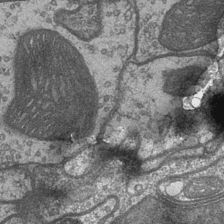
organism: Drosophila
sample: Optic medulla